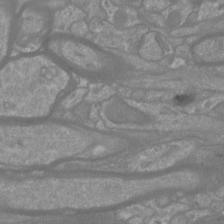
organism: Mouse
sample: Cortical neurons